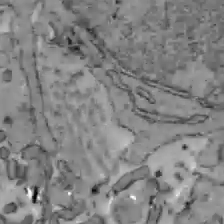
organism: C57BL Mouse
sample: Liver